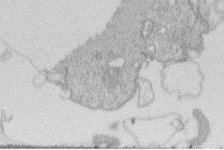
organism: Human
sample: Macrophage cells